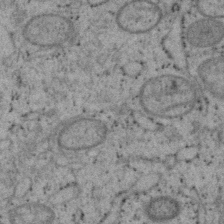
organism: Human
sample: HeLa cells